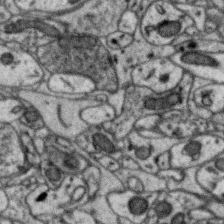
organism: Zebra finch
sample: Brain